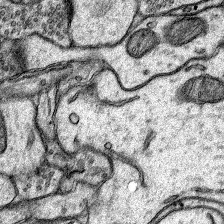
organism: Rat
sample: Hippocampus